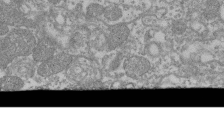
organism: Mouse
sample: Glomerulus